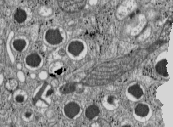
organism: C57BL Mouse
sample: Pancreatic islet